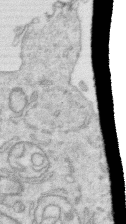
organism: Human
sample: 1205lu cells